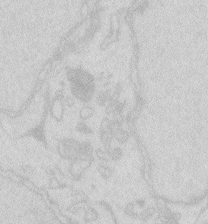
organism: Zebrafish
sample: Macrophage